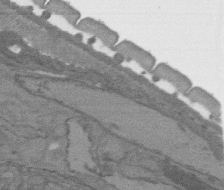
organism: C. elegans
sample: AFD neurons C. elegans